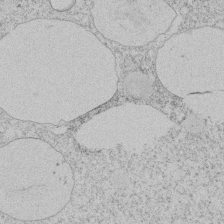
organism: Tetrahymena